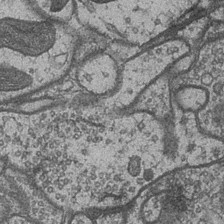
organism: Drosophila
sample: Optic medulla